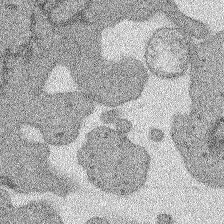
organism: Human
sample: HeLa cells